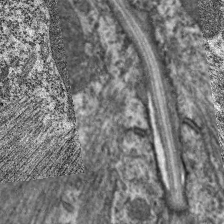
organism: C. elegans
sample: Pharynx